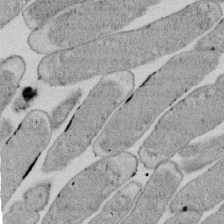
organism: E. coli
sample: Bacterial nucleoid